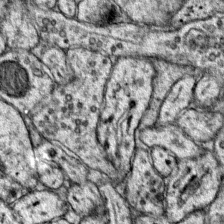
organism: Mouse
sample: Primary visual cortex